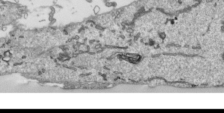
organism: Human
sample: Mitochondria in HCT116 cells